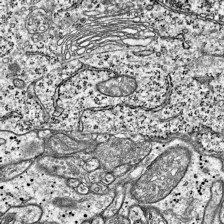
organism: Mouse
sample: Visual Cortex